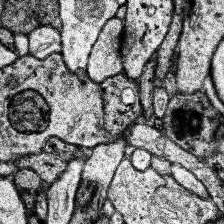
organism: Human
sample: Temporal Lobe